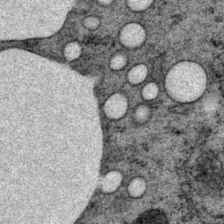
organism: P. pacificus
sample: Pharynx